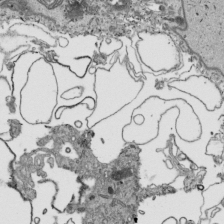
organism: Human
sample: Mitochondria in HCT116 cells